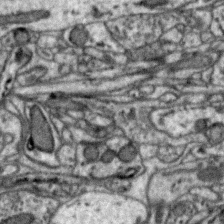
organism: Zebra finch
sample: Brain